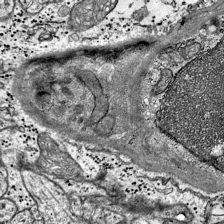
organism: Mouse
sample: Visual Cortex